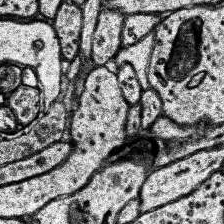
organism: Human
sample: Temporal Lobe